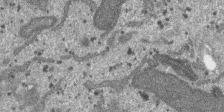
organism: Human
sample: Lung epithelial cells infected with SARS-CoV-2